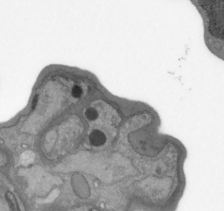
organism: Plasmodium falciparum